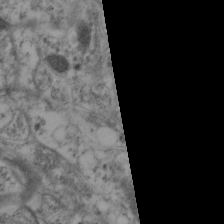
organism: Mouse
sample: Neocortex